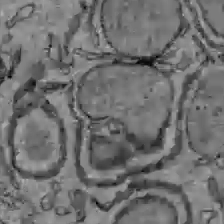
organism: C57BL Mouse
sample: Liver